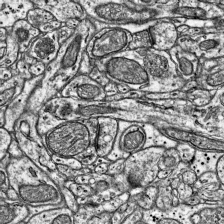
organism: Mouse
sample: Visual Cortex